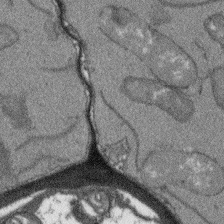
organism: Arabidopsis thaliana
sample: Root tip